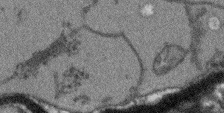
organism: Arabidopsis thaliana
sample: Root tip